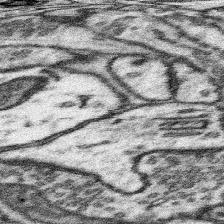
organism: Mouse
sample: Somatosensory cortex neuropil